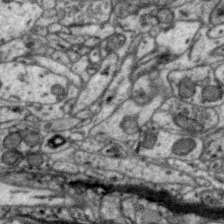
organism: Zebra finch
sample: Brain